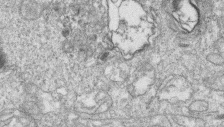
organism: Human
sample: HeLa cell HIV synapse